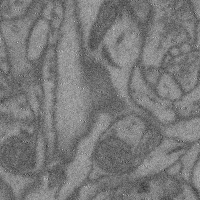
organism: Mouse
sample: Cerebral cortex